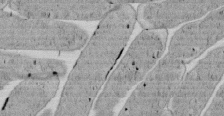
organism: E. coli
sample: Bacterial nucleoid